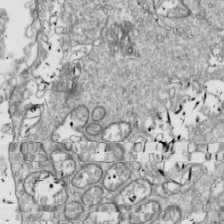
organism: Drosophila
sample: Cell division; meiosis; drosophila spermatocytes